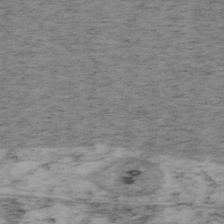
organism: Mouse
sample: OT-I killer T cells with ID8 ovarian cancer cells